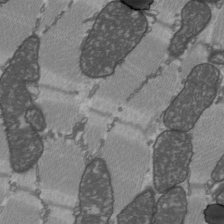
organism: C57BL Mouse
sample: Heart